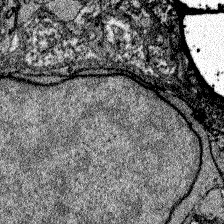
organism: Zebrafish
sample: Larval olfactory bulb